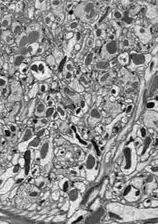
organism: Drosophila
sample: Optic lobe